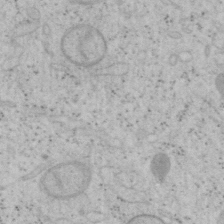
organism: Human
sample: HeLa cells